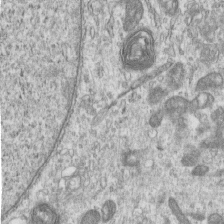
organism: Human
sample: Centriole in RPE cells